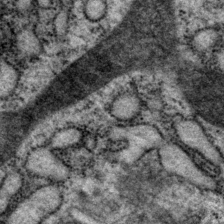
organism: P. pacificus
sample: Pharynx